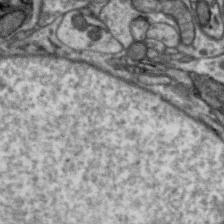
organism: Zebra finch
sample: Brain